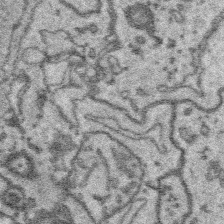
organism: Platynereis dumerilii